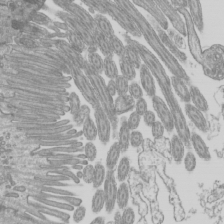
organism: Mouse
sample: Cilia; mouse epididymis